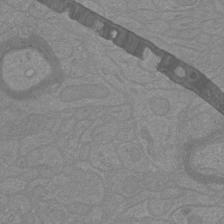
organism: Mouse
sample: Cortical neurons